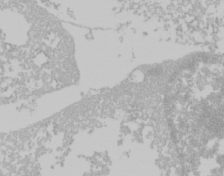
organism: Mouse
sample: Cancer cell death in ED-1 cells